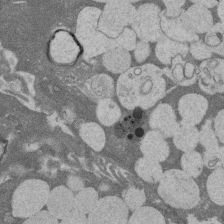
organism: Rat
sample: Salivary granule